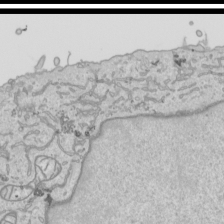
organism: Human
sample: Mitochondria in HCT116 cells